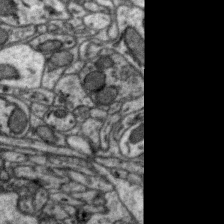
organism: Zebra finch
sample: Brain